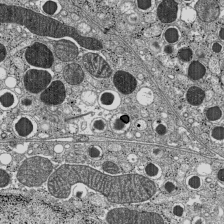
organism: C57BL Mouse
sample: Pancreatic islet